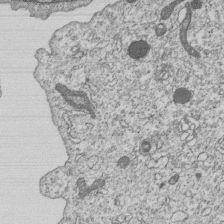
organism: Human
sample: MDA-MB-231 cells